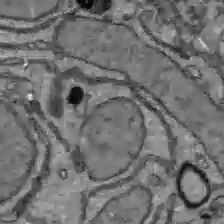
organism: C57BL Mouse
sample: Liver